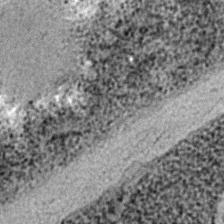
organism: C. elegans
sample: C. elegans embryo